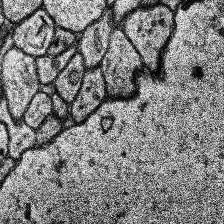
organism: Human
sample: Temporal Lobe